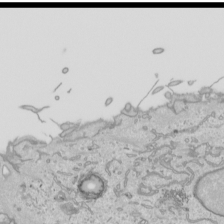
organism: Human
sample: Mitochondria in HCT116 cells